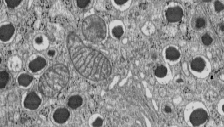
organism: C57BL Mouse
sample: Pancreatic islet